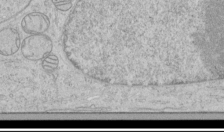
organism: Human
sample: Mitochondria in HCT116 cells